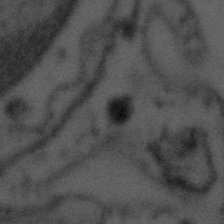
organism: Tuwongella immobilis